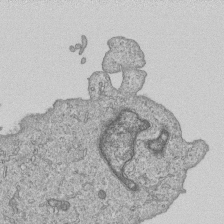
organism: Human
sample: MDA-MB-231 cells